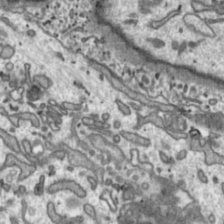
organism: Toxoplasma gondii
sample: Parasites in a vacuole inside a host cell